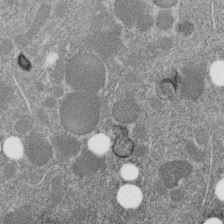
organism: C. elegans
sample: C. elegans embryo early stage